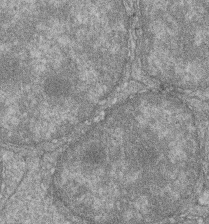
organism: Zebrafish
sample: Cilia; retinal pigment epithelium